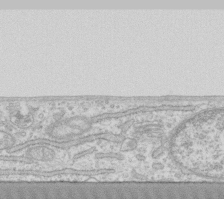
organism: Human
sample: Fibroblast cells